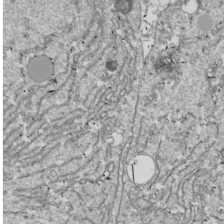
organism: Drosophila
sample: Cell division; meiosis; drosophila spermatocytes